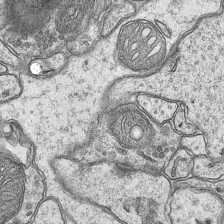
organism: Mouse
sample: CA1 Hippocampus